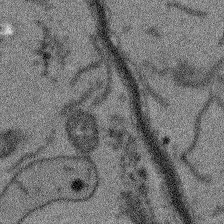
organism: Arabidopsis thaliana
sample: Root tip